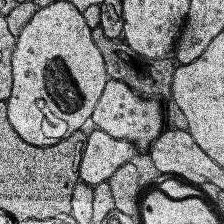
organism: Human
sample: Temporal Lobe